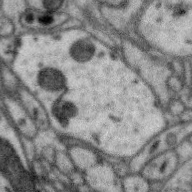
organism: Zebra finch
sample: Brain